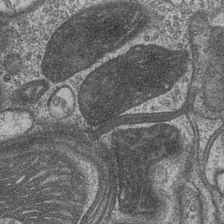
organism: Drosophila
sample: Optic medulla